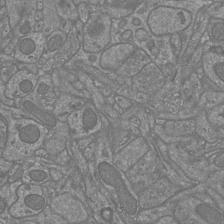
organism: Mouse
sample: Cortical neurons